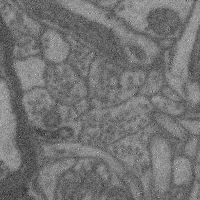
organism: Mouse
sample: Cerebral cortex